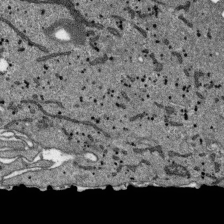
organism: Human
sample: Lung epithelial cells, uninfected (mock) control